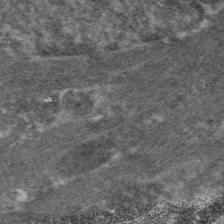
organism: C. elegans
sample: Pharynx